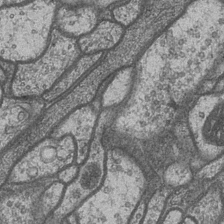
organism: Drosophila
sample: Optic medulla